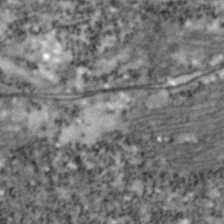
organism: Zebrafish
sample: Zebrafish embryo